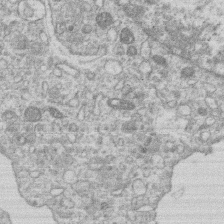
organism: Human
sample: Macrophage cells